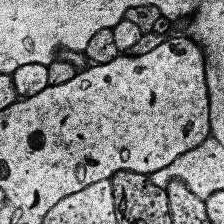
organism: Human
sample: Temporal Lobe